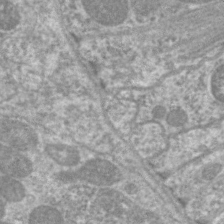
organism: C. elegans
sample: Pharynx